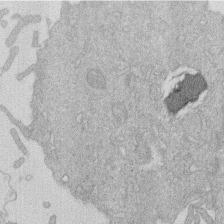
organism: Human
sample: Macrophage cells